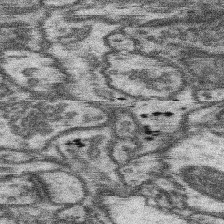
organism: Mouse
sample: Somatosensory cortex neuropil